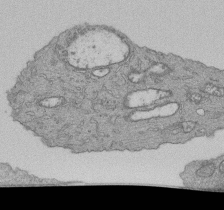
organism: Human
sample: Retinal organoid Rod and Cone cells